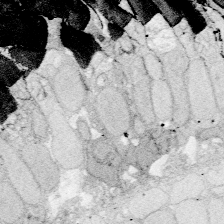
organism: Zebrafish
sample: Whole-Brain